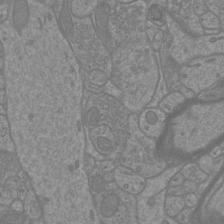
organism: Mouse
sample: Cortical neurons